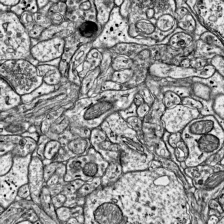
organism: Mouse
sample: Visual Cortex